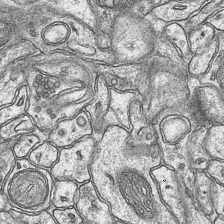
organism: Mouse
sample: CA1 Hippocampus